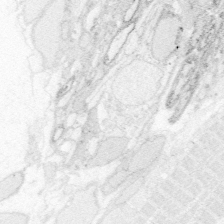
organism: Zebrafish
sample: Whole-Brain